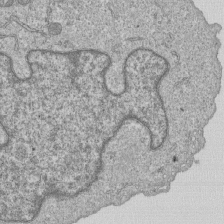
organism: Human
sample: MDA-MB-231 cells